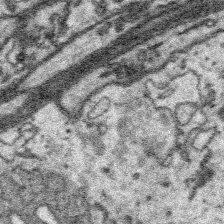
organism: Platynereis dumerilii